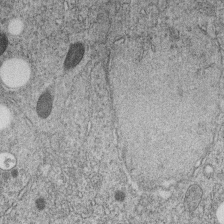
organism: C. elegans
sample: C. elegans embryo early stage